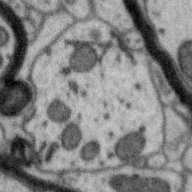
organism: Zebra finch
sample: Brain